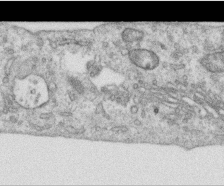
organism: Human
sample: Centriole in RPE cells